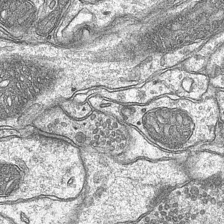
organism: Mouse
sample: CA1 Hippocampus